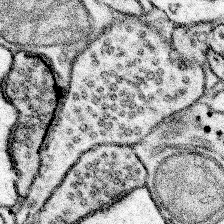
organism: Mouse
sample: Somatosensory cortex neuropil